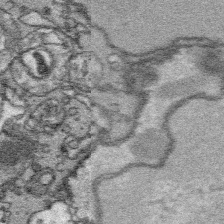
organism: Platynereis dumerilii